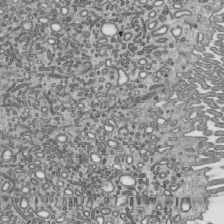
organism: Mouse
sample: Mouse epididymis efferent ductule cilia